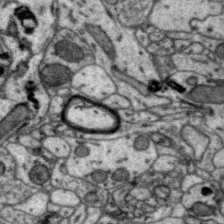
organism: Zebra finch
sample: Brain